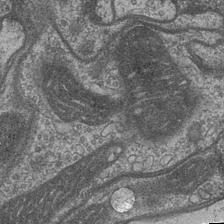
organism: Drosophila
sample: Optic medulla